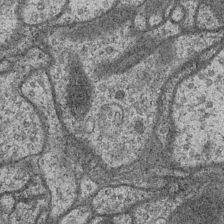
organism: Drosophila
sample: Optic medulla